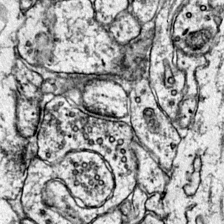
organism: Mouse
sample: Primary visual cortex